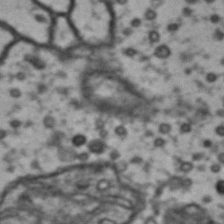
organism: Drosophila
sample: Brain